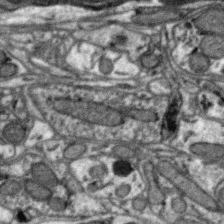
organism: Zebra finch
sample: Brain